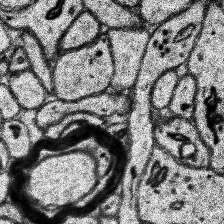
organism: Human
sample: Temporal Lobe